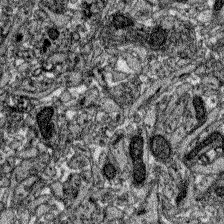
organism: Zebrafish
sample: Larval olfactory bulb